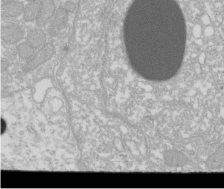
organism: Xenopus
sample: Cilia; centrioles in frog embryo cells